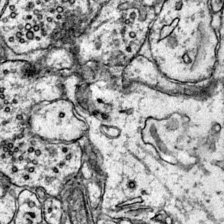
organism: Mouse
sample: Primary visual cortex